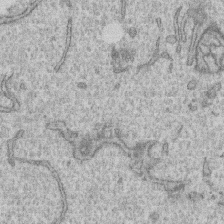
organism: Human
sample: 1205lu cells